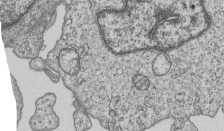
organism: Human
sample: MDA-MB-231 cells